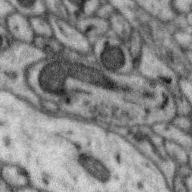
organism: Zebra finch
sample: Brain